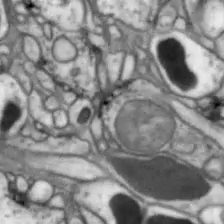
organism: Drosophila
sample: Optic lobe